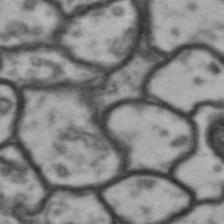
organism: Drosophila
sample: Brain